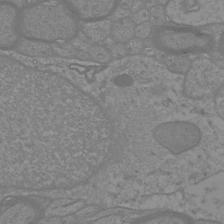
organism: Mouse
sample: Cortical neurons